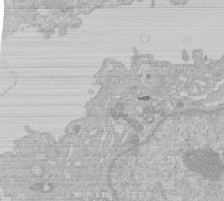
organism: Human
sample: Macrophage cells